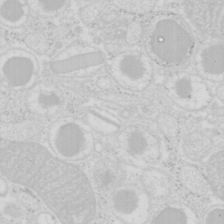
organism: Mouse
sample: Pancreas